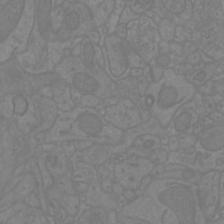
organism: Mouse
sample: Cortical neurons